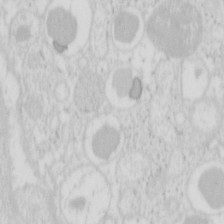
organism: Mouse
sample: Pancreas